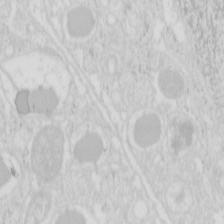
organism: Mouse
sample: Pancreas